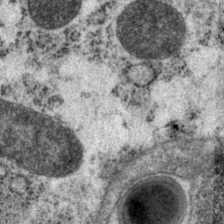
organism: P. pacificus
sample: Pharynx